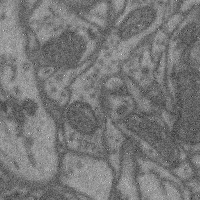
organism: Mouse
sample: Cerebral cortex